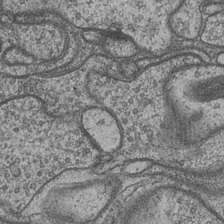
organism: Drosophila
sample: Optic medulla